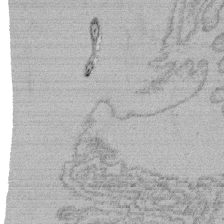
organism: Tetrahymena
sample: Cilia in tetrahymena